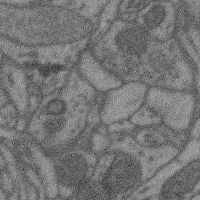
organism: Mouse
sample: Cerebral cortex